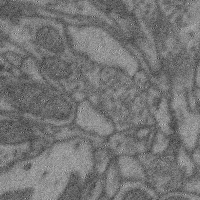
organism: Mouse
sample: Cerebral cortex